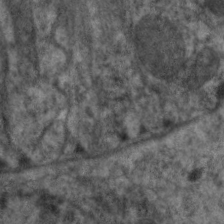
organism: C. elegans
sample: Pharynx